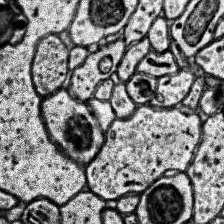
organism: Human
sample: Temporal Lobe